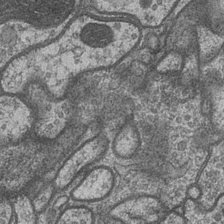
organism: Drosophila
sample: Optic medulla